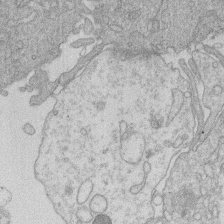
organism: Human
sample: Macrophage cells